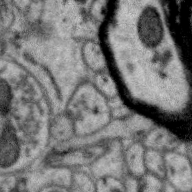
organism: Zebra finch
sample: Brain